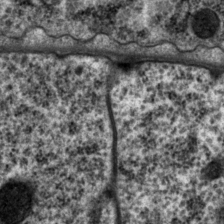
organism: P. pacificus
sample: Pharynx